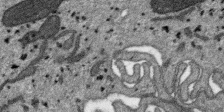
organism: Human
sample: Lung epithelial cells, uninfected (mock) control